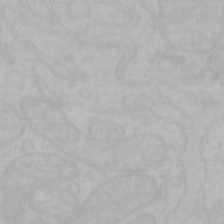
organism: Mouse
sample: Choroid plexus